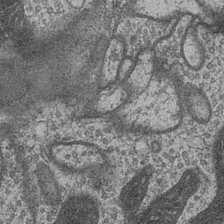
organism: Drosophila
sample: Optic medulla